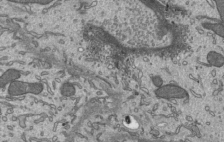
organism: Mouse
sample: Mouse epididymis efferent ductule cilia